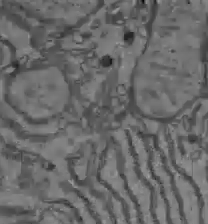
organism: C57BL Mouse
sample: Liver